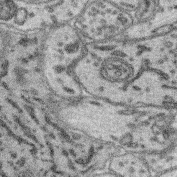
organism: Mouse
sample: Retina